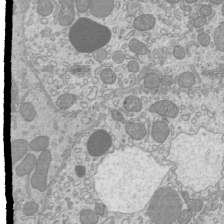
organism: Mouse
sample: Cilia; mouse epididymis